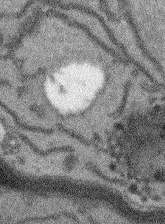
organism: Arabidopsis thaliana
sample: Root tip